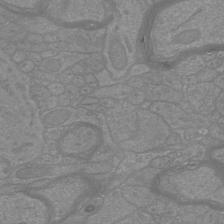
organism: Mouse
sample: Cortical neurons